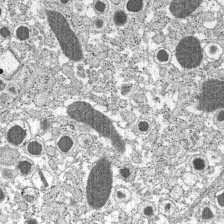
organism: C57BL Mouse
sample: Pancreatic islet